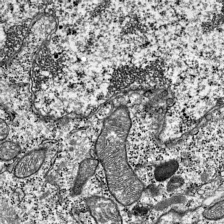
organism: Mouse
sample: Visual Cortex